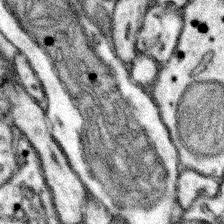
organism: Mouse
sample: Somatosensory cortex neuropil